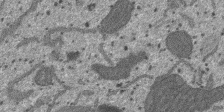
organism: Human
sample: Lung epithelial cells infected with SARS-CoV-2